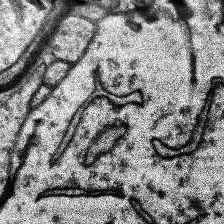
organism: Human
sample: Temporal Lobe